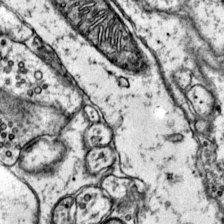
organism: Mouse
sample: Primary visual cortex